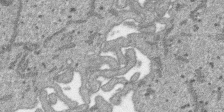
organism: Human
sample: Lung epithelial cells infected with SARS-CoV-2